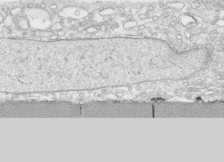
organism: Human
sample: CRL-1474